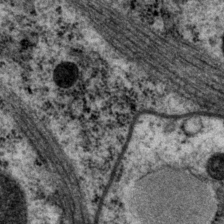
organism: P. pacificus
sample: Pharynx